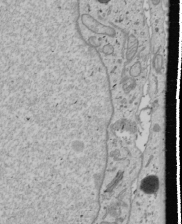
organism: Human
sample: Mitochondria in U2OS cells